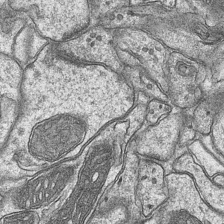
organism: Mouse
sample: CA1 Hippocampus